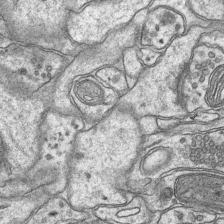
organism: Mouse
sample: CA1 Hippocampus